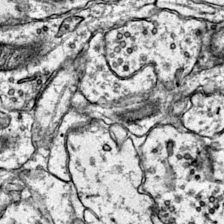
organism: Mouse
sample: Primary visual cortex